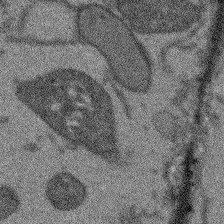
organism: Arabidopsis thaliana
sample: Root tip